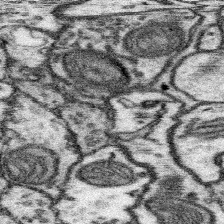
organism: Mouse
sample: Somatosensory cortex neuropil